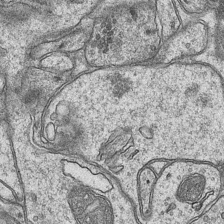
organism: Mouse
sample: CA1 Hippocampus